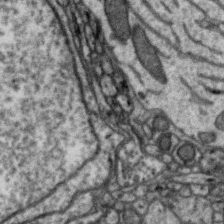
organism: Zebra finch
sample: Brain